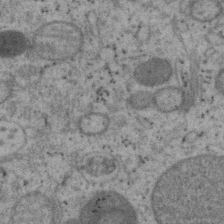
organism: Human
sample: HeLa cells